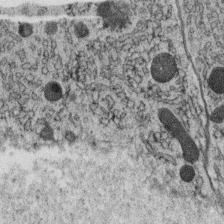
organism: C. elegans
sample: C. elegans oocyte; sperm cells